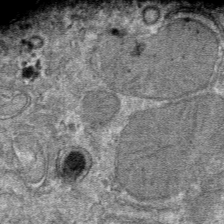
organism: Mouse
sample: Mouse hepatocytes